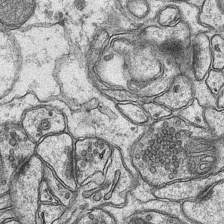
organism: Mouse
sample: CA1 Hippocampus